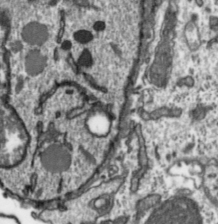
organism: Toxoplasma gondii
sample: Parasites in a vacuole inside a host cell